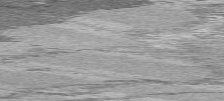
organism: C57BL Mouse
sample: Heart